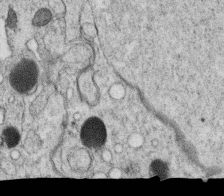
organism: C. elegans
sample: C. elegans oocyte; sperm cells